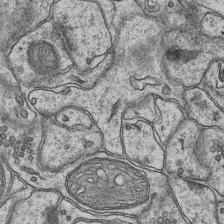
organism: Mouse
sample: CA1 Hippocampus